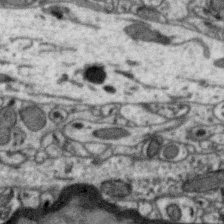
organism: Zebra finch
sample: Brain